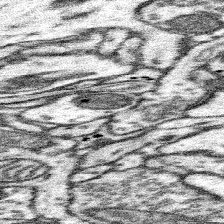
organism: Mouse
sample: Somatosensory cortex neuropil